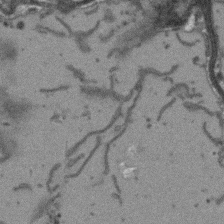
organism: Arabidopsis thaliana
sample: Root tip